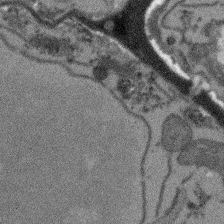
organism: Arabidopsis thaliana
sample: Root tip